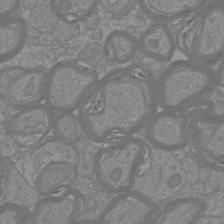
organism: Mouse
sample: Cortical neurons